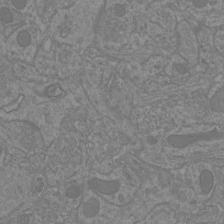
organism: Mouse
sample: Cortical neurons